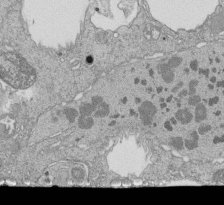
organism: Tetrahymena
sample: Cilia in tetrahymena